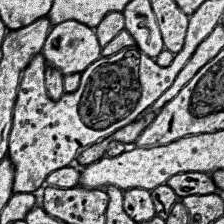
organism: Human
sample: Temporal Lobe